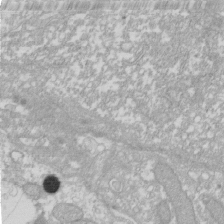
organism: Xenopus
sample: Cilia; centrioles in frog embryo cells